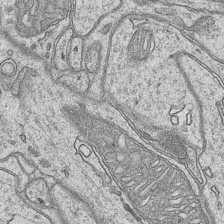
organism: Mouse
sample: CA1 Hippocampus